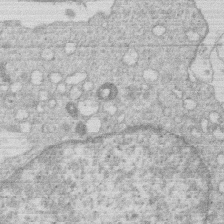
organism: Human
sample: Macrophage cells